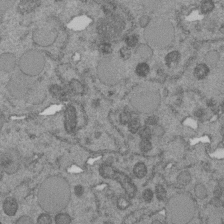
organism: C. elegans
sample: C. elegans embryo early stage